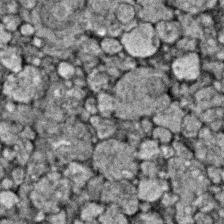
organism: Zebrafish